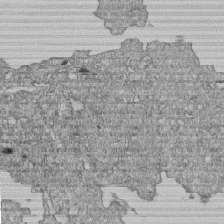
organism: Human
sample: MDA-MB-231 cells